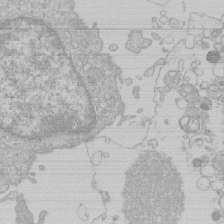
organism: Human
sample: Macrophage cells